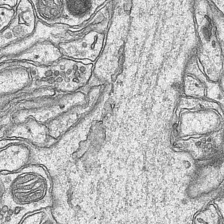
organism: Mouse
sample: CA1 Hippocampus